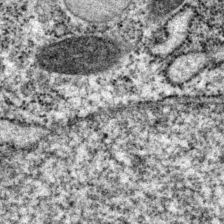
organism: P. pacificus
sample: Pharynx